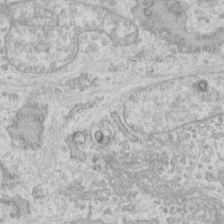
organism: Human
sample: Fibroblast cells